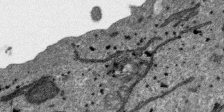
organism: Human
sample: Lung epithelial cells, uninfected (mock) control